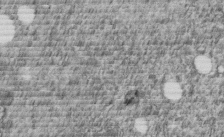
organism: C. elegans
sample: C. elegans embryo early stage